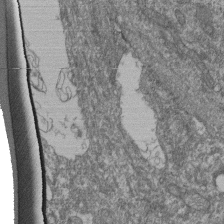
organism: Human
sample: Retinal organoid Rod and Cone cells